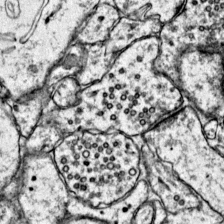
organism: Mouse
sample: Primary visual cortex